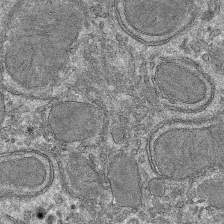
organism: Mouse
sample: Mouse hepatocytes